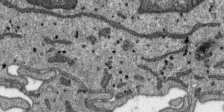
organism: Human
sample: Lung epithelial cells, uninfected (mock) control